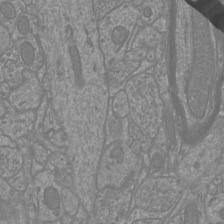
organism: Mouse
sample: Cortical neurons